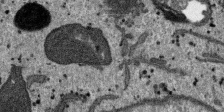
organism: Human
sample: Lung epithelial cells, uninfected (mock) control